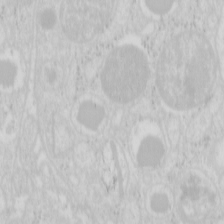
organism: Mouse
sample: Pancreas